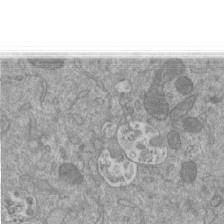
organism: Mouse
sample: ED-1 cell nuclei; centrioles